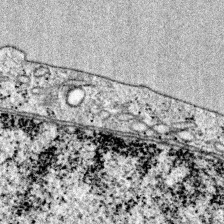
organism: Human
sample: HeLa cells